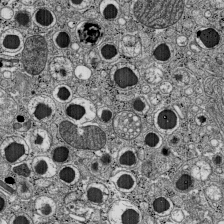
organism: C57BL Mouse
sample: Pancreatic islet